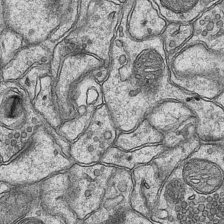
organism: Mouse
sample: CA1 Hippocampus